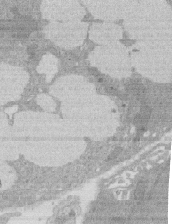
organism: Rat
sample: Salivary granule